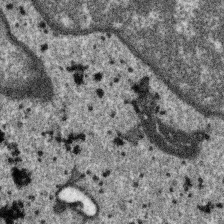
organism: Human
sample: Lung epithelial cells infected with SARS-CoV-2